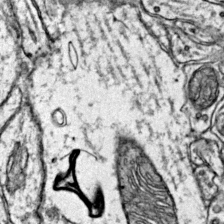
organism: Mouse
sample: Primary visual cortex